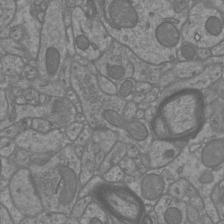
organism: Mouse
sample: Cortical neurons